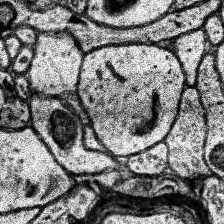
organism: Human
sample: Temporal Lobe